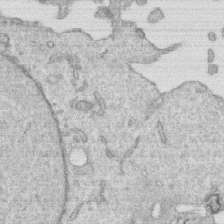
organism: Human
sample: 1205lu cells